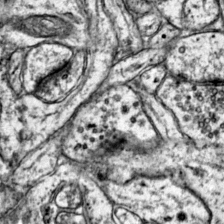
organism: Mouse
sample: Primary visual cortex